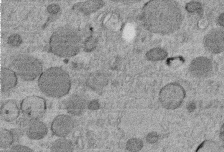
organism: C. elegans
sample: C. elegans embryo early stage